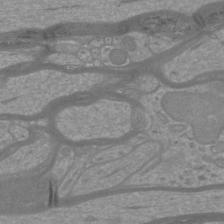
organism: Mouse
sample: Cortical neurons